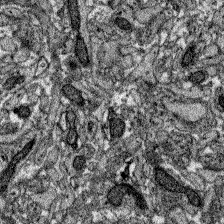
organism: Zebrafish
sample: Larval olfactory bulb